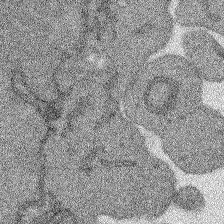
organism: Human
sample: HeLa cells